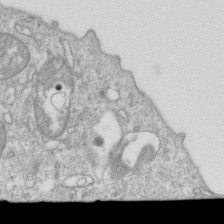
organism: Mouse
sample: Activated OT-1 CD8+ T cells